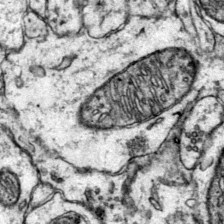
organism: Mouse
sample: Primary visual cortex